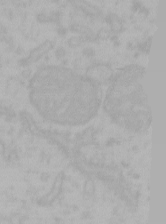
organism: Mouse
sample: Choroid plexus